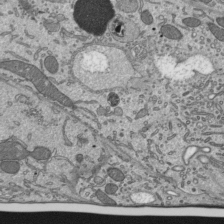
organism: Mouse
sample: Mouse epididymis efferent ductule cilia